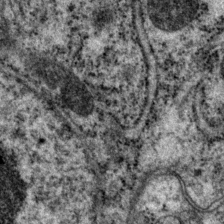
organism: P. pacificus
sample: Pharynx